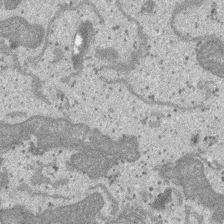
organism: Human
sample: Lung epithelial cells infected with SARS-CoV-2